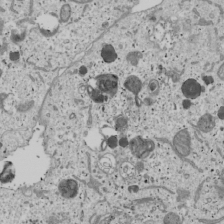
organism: Human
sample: Mitochondria in U2OS cells